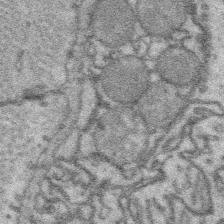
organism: Platynereis dumerilii